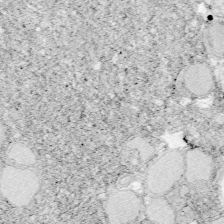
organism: Zebrafish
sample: Whole-Brain